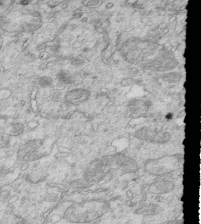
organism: Mouse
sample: Multiciliated cells